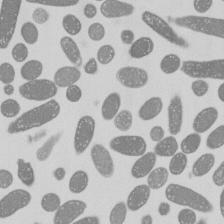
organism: E. coli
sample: Bacterial nucleoid